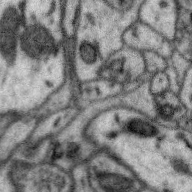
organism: Zebra finch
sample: Brain